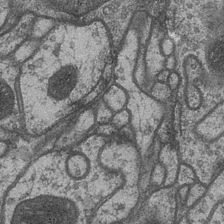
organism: Drosophila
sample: Optic medulla